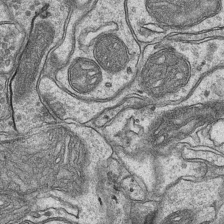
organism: Mouse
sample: CA1 Hippocampus